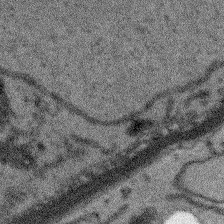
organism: Arabidopsis thaliana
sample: Root tip